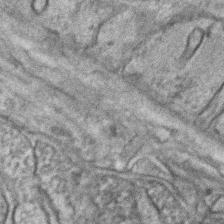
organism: C. elegans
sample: C. elegans embryo